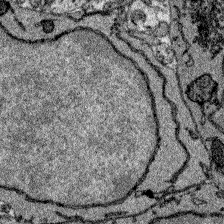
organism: Zebrafish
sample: Larval olfactory bulb